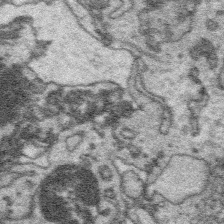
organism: Platynereis dumerilii